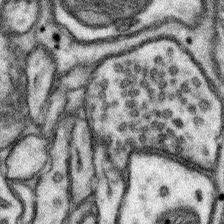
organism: Mouse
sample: Somatosensory cortex neuropil